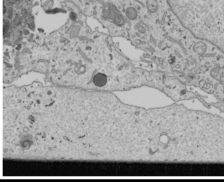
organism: Human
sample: Mitochondria in U2OS cells